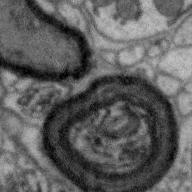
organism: Zebra finch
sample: Brain